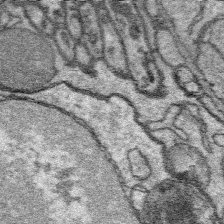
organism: Platynereis dumerilii